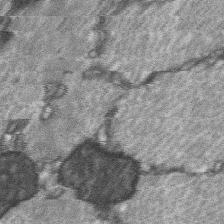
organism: C57BL Mouse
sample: Soleus